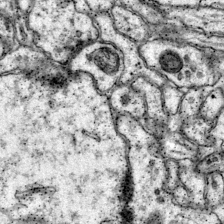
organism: Mouse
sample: Primary visual cortex